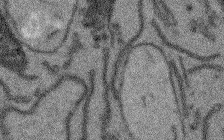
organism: Arabidopsis thaliana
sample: Root tip